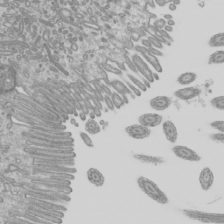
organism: Mouse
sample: Cilia; mouse epididymis